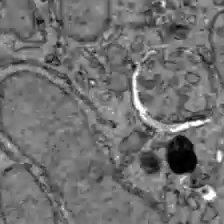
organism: C57BL Mouse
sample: Liver